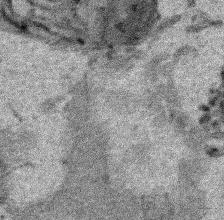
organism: Human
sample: Mitochondria in HCT116 cells